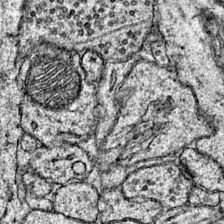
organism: Mouse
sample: Primary visual cortex